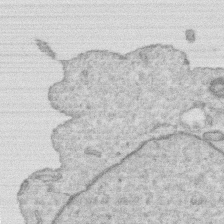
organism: Human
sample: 1205lu cells